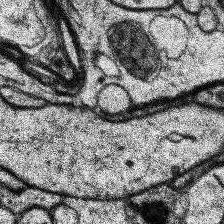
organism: Human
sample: Temporal Lobe